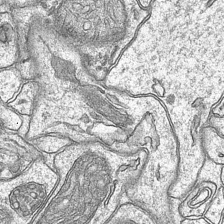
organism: Mouse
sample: CA1 Hippocampus